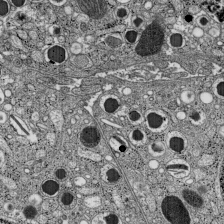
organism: C57BL Mouse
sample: Pancreatic islet